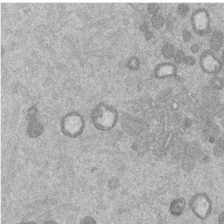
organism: Mouse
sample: Dividing mouse embryo 1 cell stage